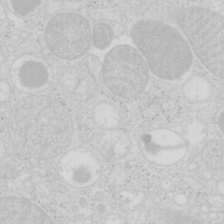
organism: Mouse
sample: Pancreas